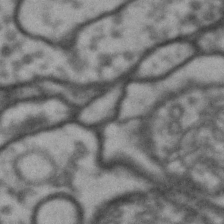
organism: Drosophila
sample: Brain